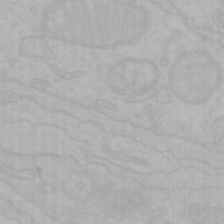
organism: Mouse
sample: Choroid plexus